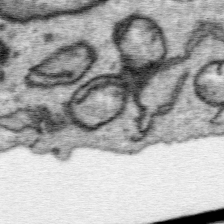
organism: Human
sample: HeLa cells